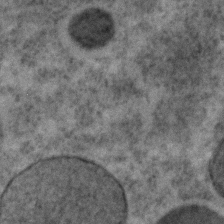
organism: C. elegans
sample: C. elegans embryo